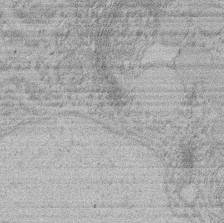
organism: Rat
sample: Salivary granule